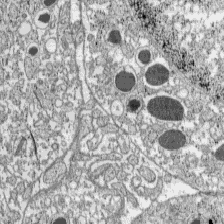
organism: C57BL Mouse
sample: Pancreatic islet